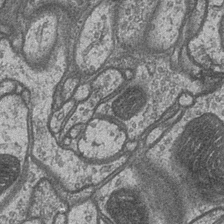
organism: Drosophila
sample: Optic medulla